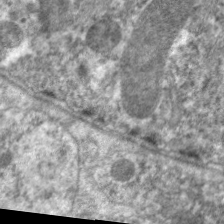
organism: C. elegans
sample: Pharynx